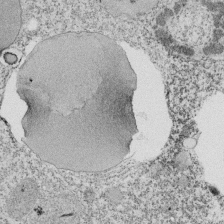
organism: Tetrahymena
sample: Cilia in tetrahymena